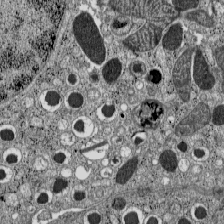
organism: C57BL Mouse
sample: Pancreatic islet